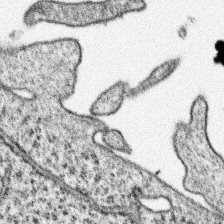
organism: Human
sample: HeLa cells